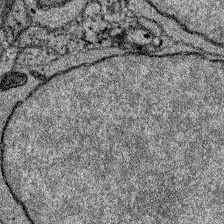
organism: Zebrafish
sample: Larval olfactory bulb